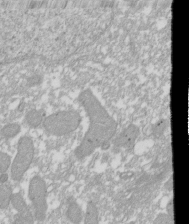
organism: Xenopus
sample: Cilia; centrioles in frog embryo cells